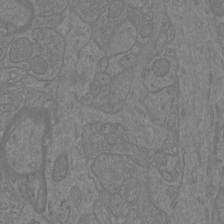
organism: Mouse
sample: Cortical neurons